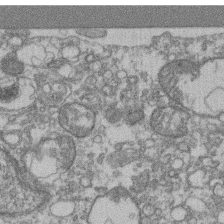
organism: Mouse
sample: T cell stromal cell synapse